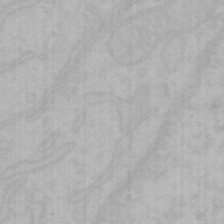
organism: Mouse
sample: Choroid plexus